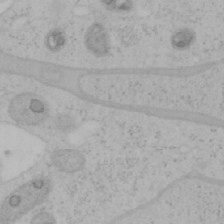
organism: Mouse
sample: OT-I killer T cells with ID8 ovarian cancer cells